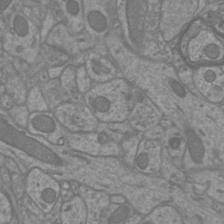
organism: Mouse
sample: Cortical neurons